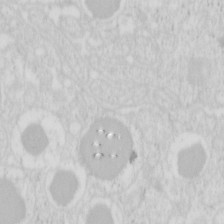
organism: Mouse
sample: Pancreas